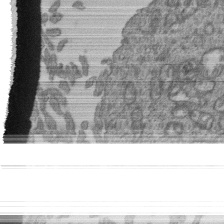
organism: Human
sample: Retinal organoid Rod and Cone cells